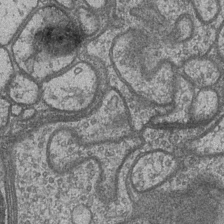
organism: Drosophila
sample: Optic medulla